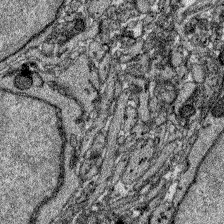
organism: Zebrafish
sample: Larval olfactory bulb